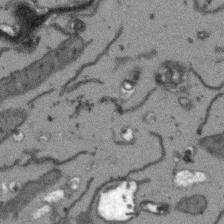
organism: Arabidopsis thaliana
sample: Root tip